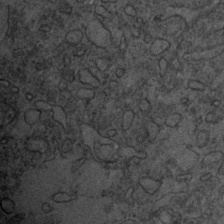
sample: Trachea